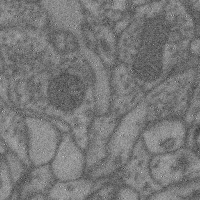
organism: Mouse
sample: Cerebral cortex